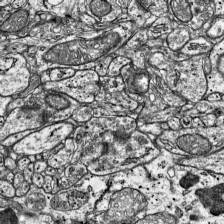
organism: Mouse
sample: Visual Cortex